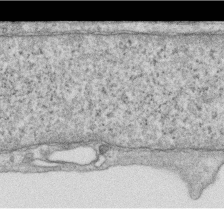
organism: Human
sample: Centriole in RPE cells